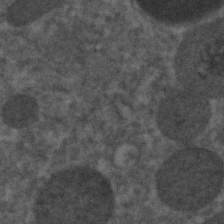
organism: C. elegans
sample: C. elegans embryo